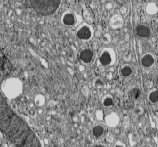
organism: C57BL Mouse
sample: Pancreatic islet